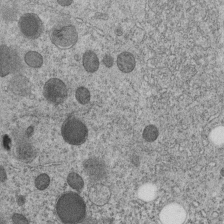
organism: C. elegans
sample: C. elegans embryo early stage